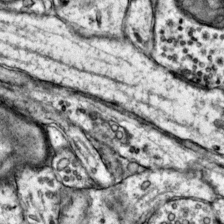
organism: Mouse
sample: Primary visual cortex